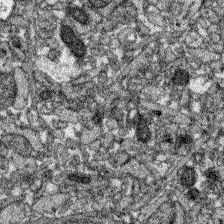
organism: Zebrafish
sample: Larval olfactory bulb